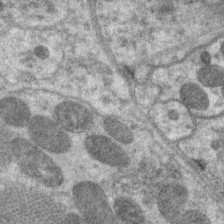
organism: C. elegans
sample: Pharynx